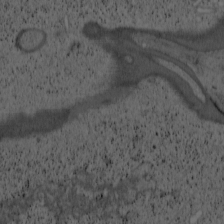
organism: African green monkey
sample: COS-7 cells